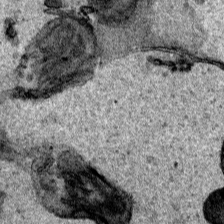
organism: Human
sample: Mitochondria in HCT116 cells